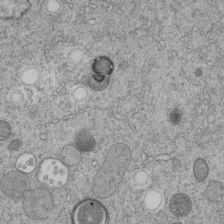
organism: C. elegans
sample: C. elegans embryo early stage